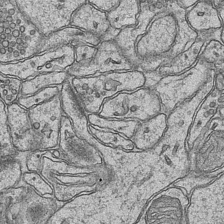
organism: Mouse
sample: CA1 Hippocampus